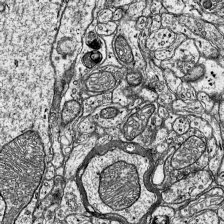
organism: Mouse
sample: Visual Cortex